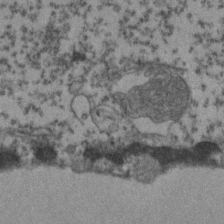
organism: Zebrafish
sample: Zebrafish embryo